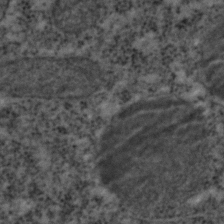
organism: C. elegans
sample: C. elegans embryo